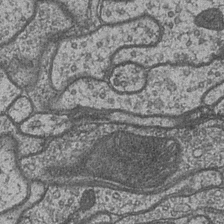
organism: Drosophila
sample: Optic medulla